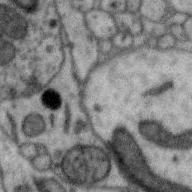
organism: Zebra finch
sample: Brain